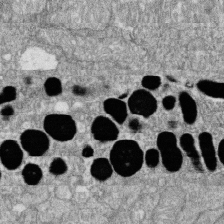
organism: Zebrafish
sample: Cilia; retinal pigment epithelium